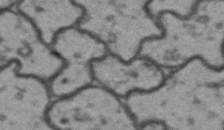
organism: Drosophila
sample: Brain